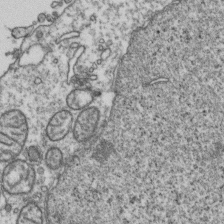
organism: Human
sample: Activated Jurkat CD4+ T cells